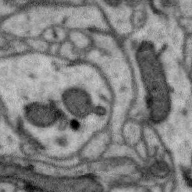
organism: Zebra finch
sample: Brain